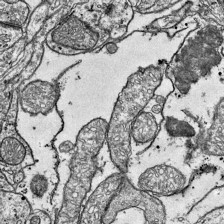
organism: Mouse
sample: Visual Cortex